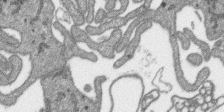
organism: Human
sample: Lung epithelial cells infected with SARS-CoV-2